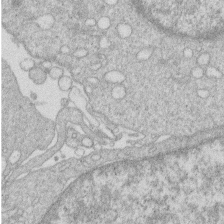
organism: Human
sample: Macrophage cells